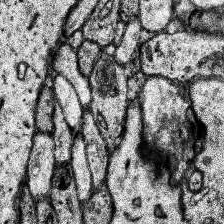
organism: Human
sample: Temporal Lobe